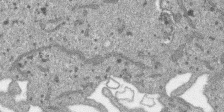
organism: Human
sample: Lung epithelial cells infected with SARS-CoV-2